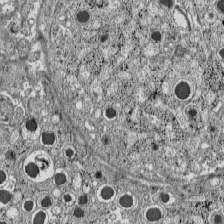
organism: C57BL Mouse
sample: Pancreatic islet